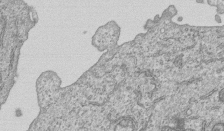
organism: Human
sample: MDA-MB-231 cells